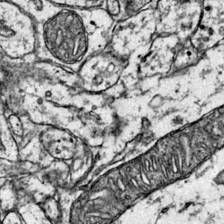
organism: Mouse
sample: Primary visual cortex